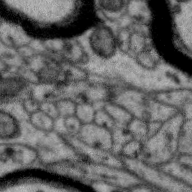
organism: Zebra finch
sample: Brain